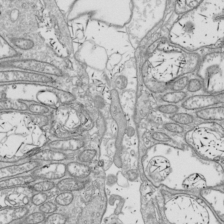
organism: Drosophila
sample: Cell division; meiosis; drosophila spermatocytes